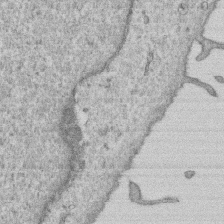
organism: Human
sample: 1205lu cells